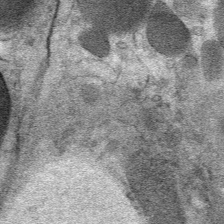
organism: Mouse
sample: Mouse Salivary gland